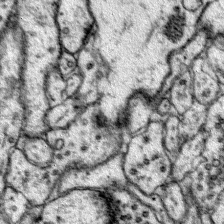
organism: Mouse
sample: Primary visual cortex